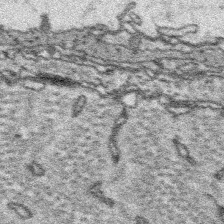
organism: Platynereis dumerilii